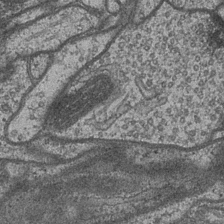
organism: Drosophila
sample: Optic medulla